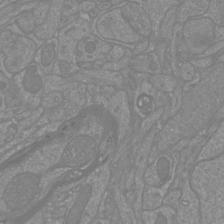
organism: Mouse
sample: Cortical neurons